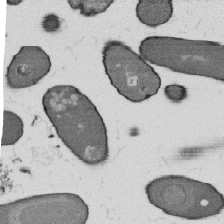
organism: B. subtilis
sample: Bacterial spore